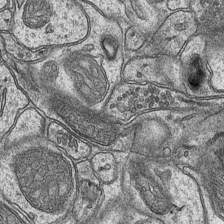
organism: Mouse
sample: CA1 Hippocampus